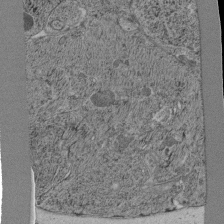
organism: C. elegans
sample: C. elegans pharynx